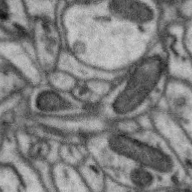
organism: Zebra finch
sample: Brain